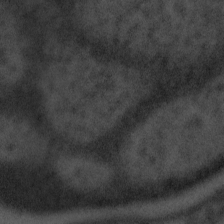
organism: Tuwongella immobilis